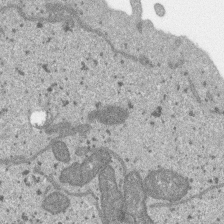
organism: Human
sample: Lung epithelial cells infected with SARS-CoV-2